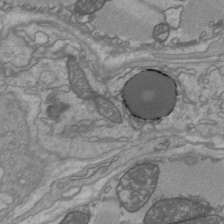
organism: C57BL Mouse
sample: Heart